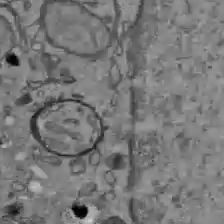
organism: C57BL Mouse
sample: Liver